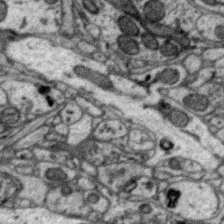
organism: Zebra finch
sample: Brain